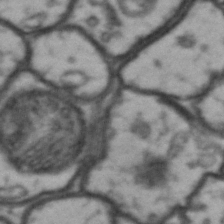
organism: Drosophila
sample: Brain